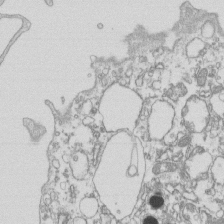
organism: Mouse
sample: Macrophages